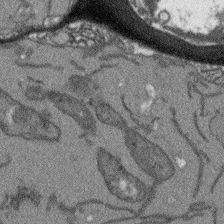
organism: Arabidopsis thaliana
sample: Root tip